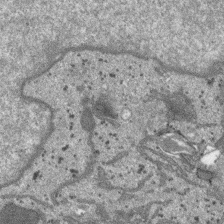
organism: Human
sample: Lung epithelial cells infected with SARS-CoV-2